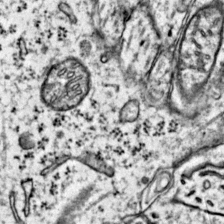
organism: Mouse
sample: Primary visual cortex